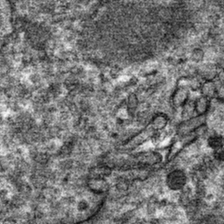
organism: Mouse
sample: Mouse hepatocytes